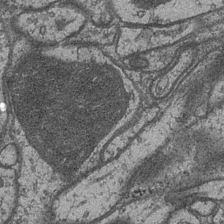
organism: Drosophila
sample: Optic medulla